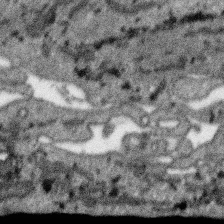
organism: Human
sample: Lung epithelial cells infected with SARS-CoV-2